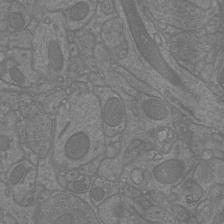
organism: Mouse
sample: Cortical neurons